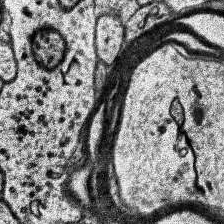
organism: Human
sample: Temporal Lobe